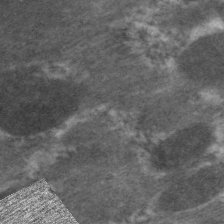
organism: C. elegans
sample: Pharynx